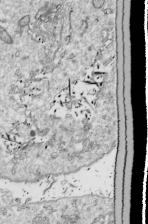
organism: Drosophila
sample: Cell division; meiosis; drosophila spermatocytes